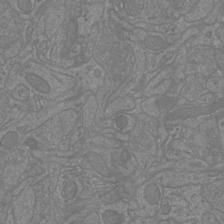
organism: Mouse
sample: Cortical neurons